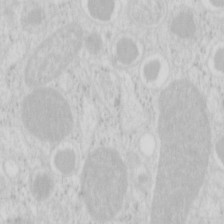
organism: Mouse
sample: Pancreas